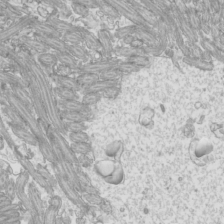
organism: Mouse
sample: Cilia; mouse epididymis